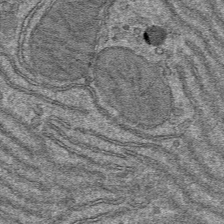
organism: Mouse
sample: Mouse hepatocytes